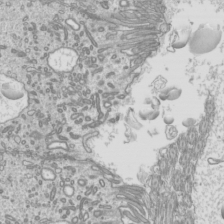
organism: Mouse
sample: Cilia; mouse epididymis